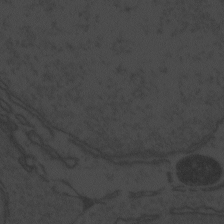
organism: Zebrafish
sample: Macrophage infected with Toxoplasma gondii